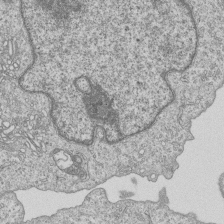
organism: Human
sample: MDA-MB-231 cells